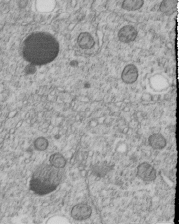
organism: C. elegans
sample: C. elegans embryo early stage